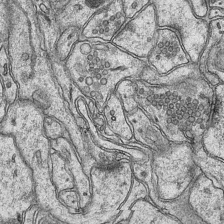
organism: Mouse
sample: CA1 Hippocampus